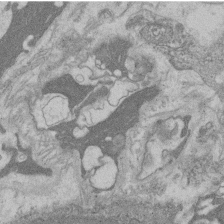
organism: Rat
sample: Salivary granule